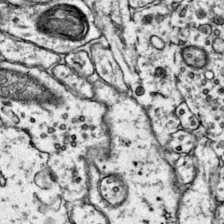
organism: Mouse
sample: Primary visual cortex